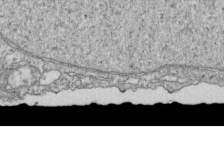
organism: Human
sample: HeLa cell HIV synapse